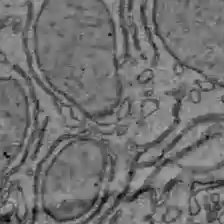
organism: C57BL Mouse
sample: Liver